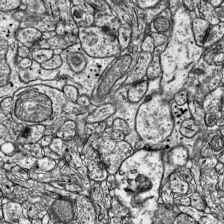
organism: Mouse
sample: Visual Cortex